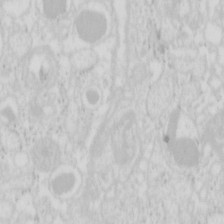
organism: Mouse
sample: Pancreas